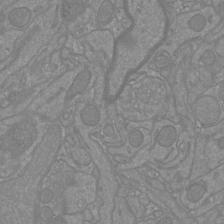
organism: Mouse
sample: Cortical neurons